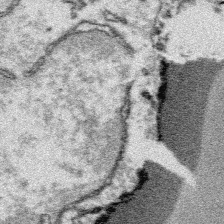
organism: Platynereis dumerilii